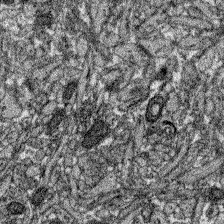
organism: Zebrafish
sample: Larval olfactory bulb